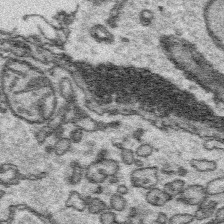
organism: Platynereis dumerilii